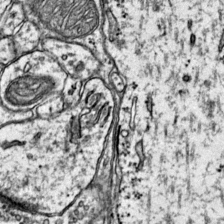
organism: Mouse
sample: Primary visual cortex